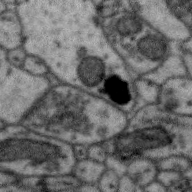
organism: Zebra finch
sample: Brain